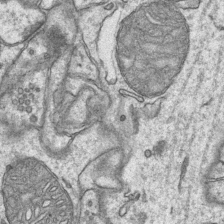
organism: Mouse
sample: CA1 Hippocampus